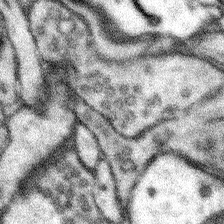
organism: Mouse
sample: Somatosensory cortex neuropil